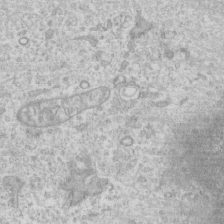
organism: Human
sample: CRL-1474